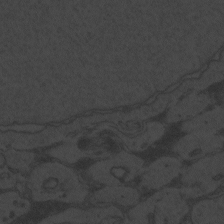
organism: Zebrafish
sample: Macrophage infected with Toxoplasma gondii